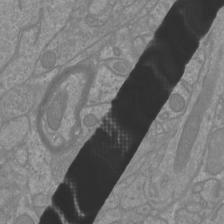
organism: Mouse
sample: Cortical neurons